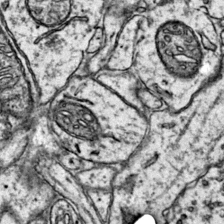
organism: Mouse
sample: Primary visual cortex